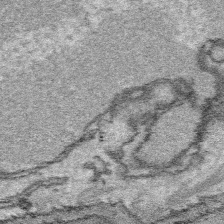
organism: Platynereis dumerilii